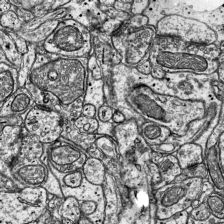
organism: Mouse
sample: Visual Cortex